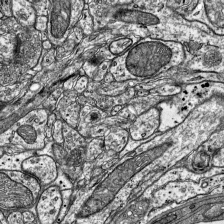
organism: Mouse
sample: Visual Cortex